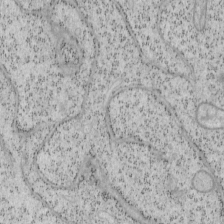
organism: Mouse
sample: OT-I killer T cells with ID8 ovarian cancer cells